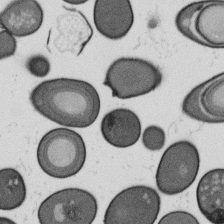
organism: B. subtilis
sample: Bacterial spore